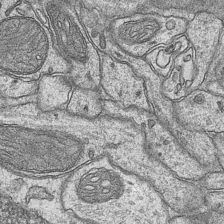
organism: Mouse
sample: CA1 Hippocampus